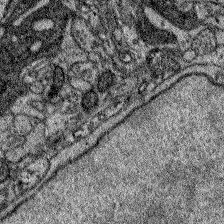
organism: Zebrafish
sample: Larval olfactory bulb